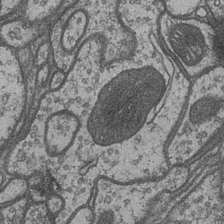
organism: Drosophila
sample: Optic medulla